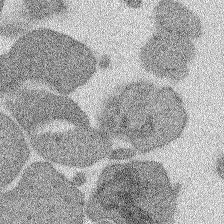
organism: Human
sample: HeLa cells